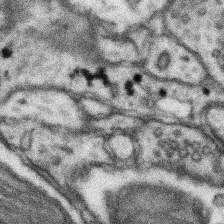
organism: Mouse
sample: Somatosensory cortex neuropil